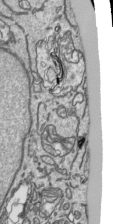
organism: Human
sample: Mitochondria in HCT116 cells